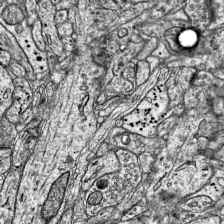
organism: Mouse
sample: Visual Cortex